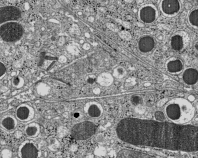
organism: C57BL Mouse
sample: Pancreatic islet